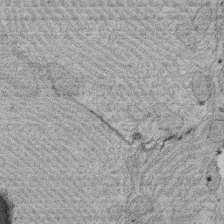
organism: Rat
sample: Salivary granule